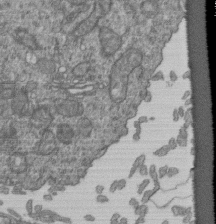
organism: Human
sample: Retinal organoid Rod and Cone cells